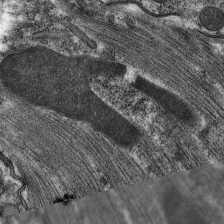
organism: C. elegans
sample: Pharynx